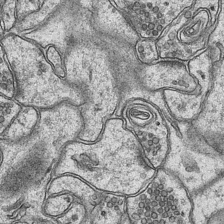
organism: Mouse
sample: CA1 Hippocampus